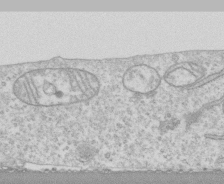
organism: Human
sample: CRL-1474